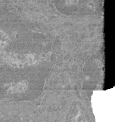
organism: Mouse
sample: Glomerulus